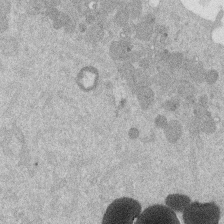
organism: Mouse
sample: Dividing mouse embryo 1 cell stage